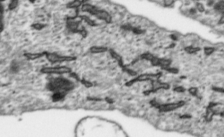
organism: Toxoplasma gondii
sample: Parasites in a vacuole inside a host cell